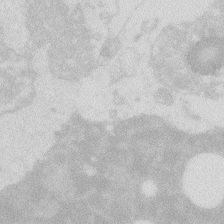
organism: Zebrafish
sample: Macrophage